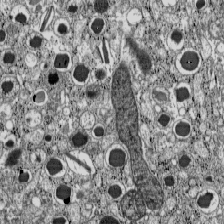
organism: C57BL Mouse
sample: Pancreatic islet